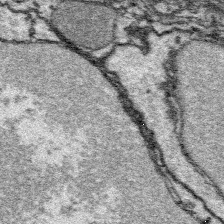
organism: Platynereis dumerilii